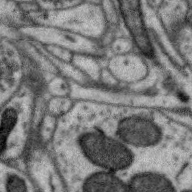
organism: Zebra finch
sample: Brain